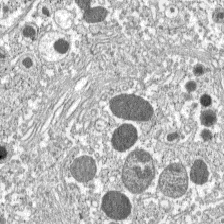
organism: C57BL Mouse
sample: Pancreatic islet